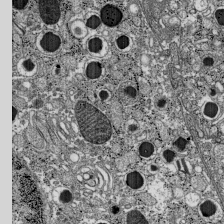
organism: C57BL Mouse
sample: Pancreatic islet